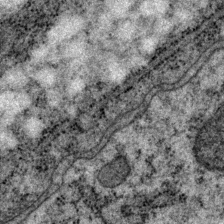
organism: P. pacificus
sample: Pharynx